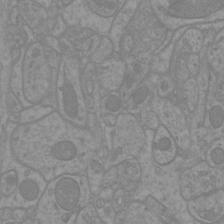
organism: Mouse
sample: Cortical neurons